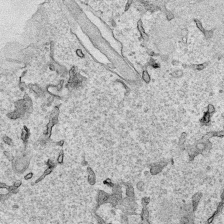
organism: Human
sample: Mitochondria in HCT116 cells